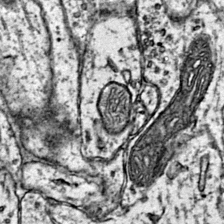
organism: Mouse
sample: Primary visual cortex